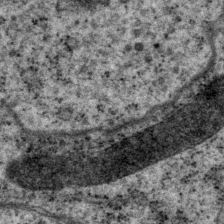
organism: P. pacificus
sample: Pharynx